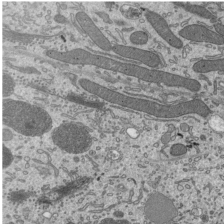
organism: Mouse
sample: Mouse epididymis efferent ductule cilia